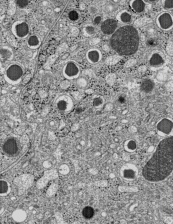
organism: C57BL Mouse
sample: Pancreatic islet